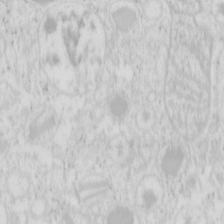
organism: Mouse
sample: Pancreas